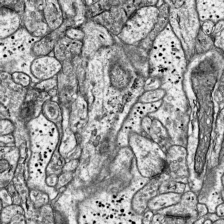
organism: Mouse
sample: Visual Cortex